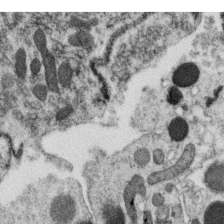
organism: C. elegans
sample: C. elegans oocyte; sperm cells